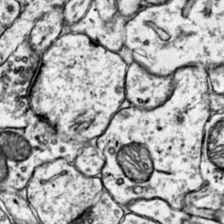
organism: Mouse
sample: Primary visual cortex